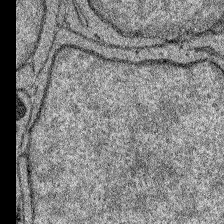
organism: Zebrafish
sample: Larval olfactory bulb